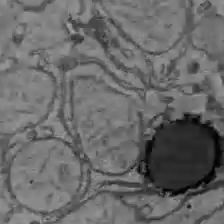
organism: C57BL Mouse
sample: Liver